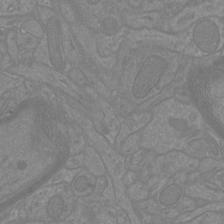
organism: Mouse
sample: Cortical neurons